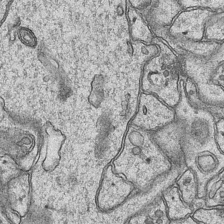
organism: Mouse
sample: CA1 Hippocampus